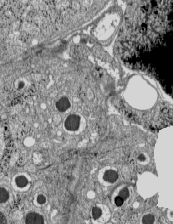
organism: C57BL Mouse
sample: Pancreatic islet